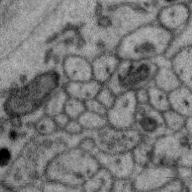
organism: Zebra finch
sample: Brain